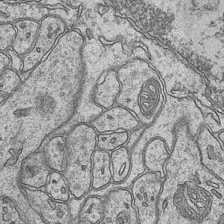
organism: Mouse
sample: CA1 Hippocampus